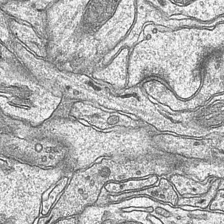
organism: Mouse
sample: CA1 Hippocampus